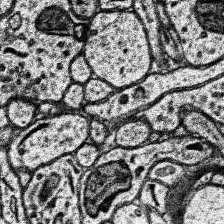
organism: Human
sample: Temporal Lobe